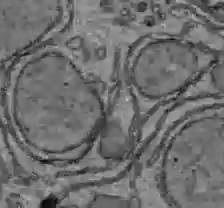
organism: C57BL Mouse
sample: Liver